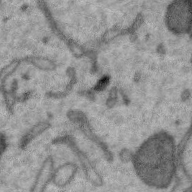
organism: Zebra finch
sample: Brain